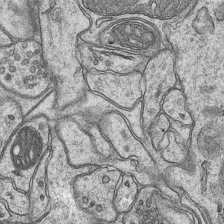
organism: Mouse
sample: CA1 Hippocampus